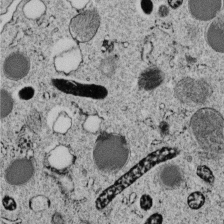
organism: C. elegans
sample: C. elegans embryo early stage